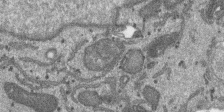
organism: Human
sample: Lung epithelial cells infected with SARS-CoV-2